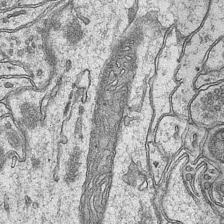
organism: Mouse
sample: CA1 Hippocampus